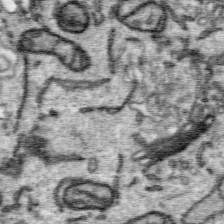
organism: Human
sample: HeLa cells